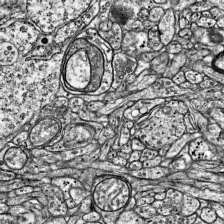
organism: Mouse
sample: Visual Cortex